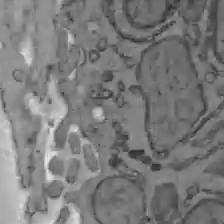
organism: C57BL Mouse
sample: Liver